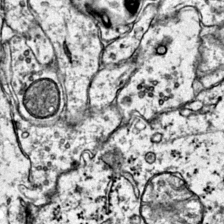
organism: Mouse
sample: Primary visual cortex